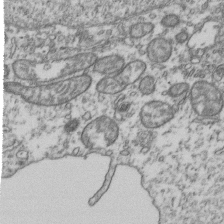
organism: Human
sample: Activated Jurkat CD4+ T cells